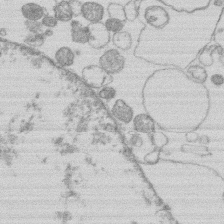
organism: Human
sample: Macrophage cells